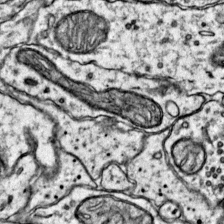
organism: Mouse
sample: Primary visual cortex